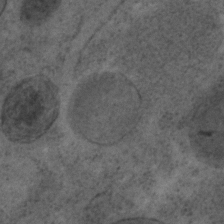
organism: C. elegans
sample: C. elegans embryo